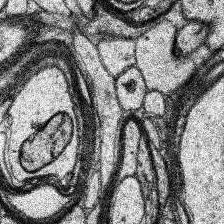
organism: Human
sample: Temporal Lobe